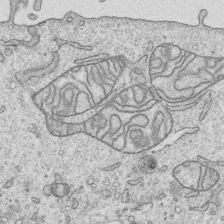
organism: Human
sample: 1205lu cells